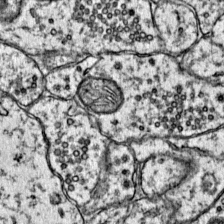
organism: Mouse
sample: Primary visual cortex